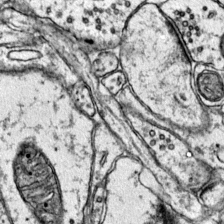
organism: Mouse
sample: Primary visual cortex